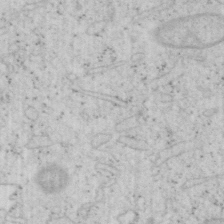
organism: Human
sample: HeLa cells